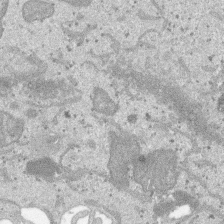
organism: Human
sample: Lung epithelial cells infected with SARS-CoV-2